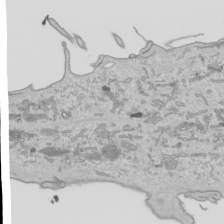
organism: Human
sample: Mitochondria in HCT116 cells